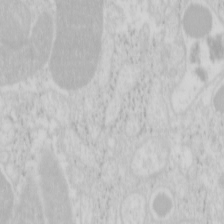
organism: Mouse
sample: Pancreas